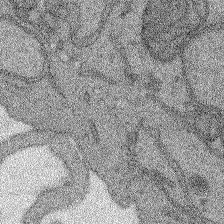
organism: Human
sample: HeLa cells